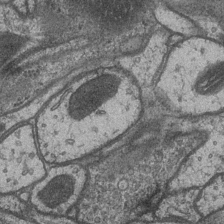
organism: Drosophila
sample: Optic medulla